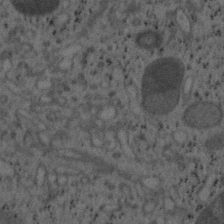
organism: Human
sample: HeLa cells